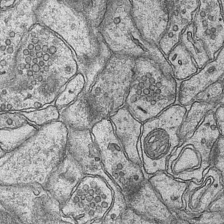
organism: Mouse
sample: CA1 Hippocampus